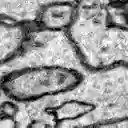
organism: Zebrafish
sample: Brain